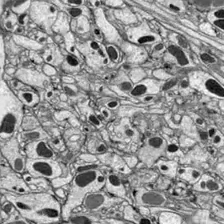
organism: Drosophila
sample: Optic lobe